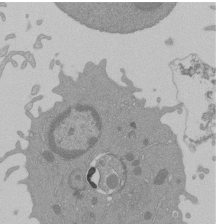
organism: Mouse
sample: Activated Pmel transgenic CD8+ T Cells